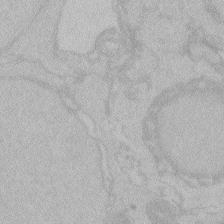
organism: Zebrafish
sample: Macrophage infected with Toxoplasma gondii